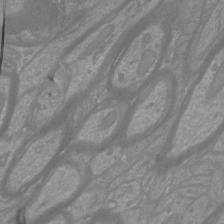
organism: Mouse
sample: Cortical neurons